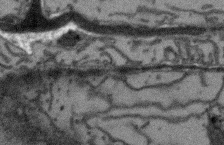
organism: Arabidopsis thaliana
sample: Root tip